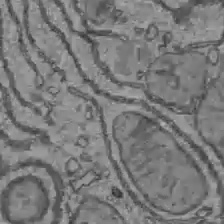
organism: C57BL Mouse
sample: Liver